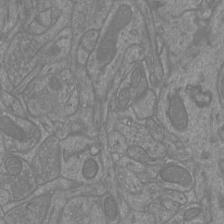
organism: Mouse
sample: Cortical neurons